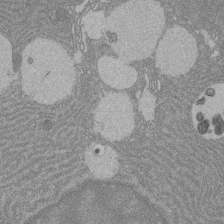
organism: Rat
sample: Salivary granule